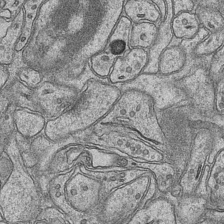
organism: Mouse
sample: CA1 Hippocampus